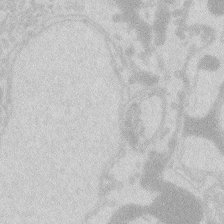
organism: Zebrafish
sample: Macrophage